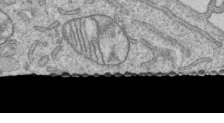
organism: Human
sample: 1205lu cells